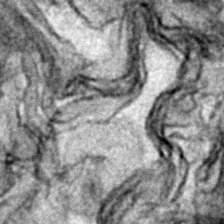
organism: Zebrafish